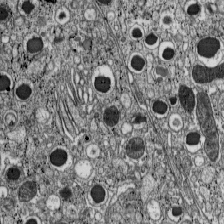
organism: C57BL Mouse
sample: Pancreatic islet